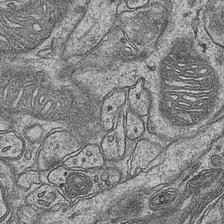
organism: Mouse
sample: CA1 Hippocampus